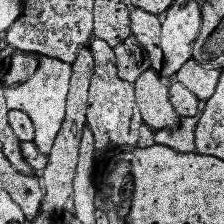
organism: Human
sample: Temporal Lobe